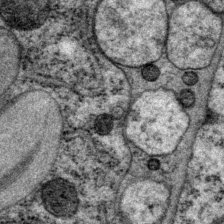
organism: P. pacificus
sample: Pharynx